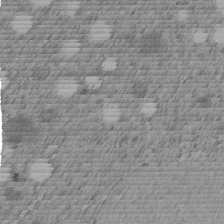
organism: C. elegans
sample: C. elegans embryo early stage